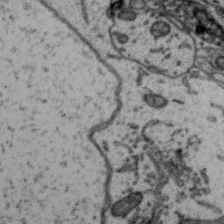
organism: Zebra finch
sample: Brain